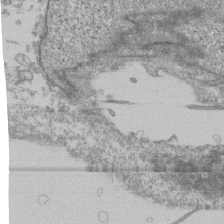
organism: Human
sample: Fibroblast cells